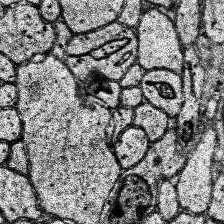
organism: Human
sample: Temporal Lobe